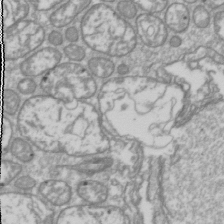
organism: Drosophila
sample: Cell division; meiosis; drosophila spermatocytes